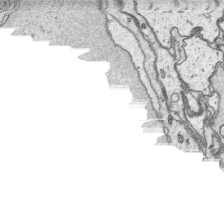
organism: Platynereis dumerilii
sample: Parapodia